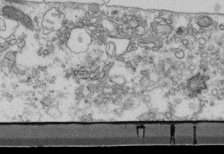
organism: Mouse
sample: Cilia; retinal pigment epithelium